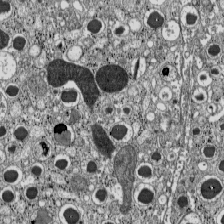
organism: C57BL Mouse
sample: Pancreatic islet